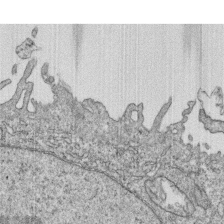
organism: Human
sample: HeLa cell HIV synapse